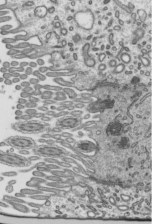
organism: Mouse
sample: Mouse epididymis efferent ductule cilia